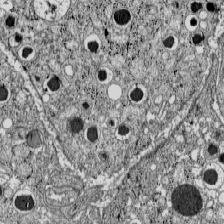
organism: C57BL Mouse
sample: Pancreatic islet